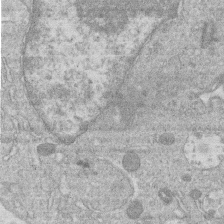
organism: Human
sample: Macrophage cells